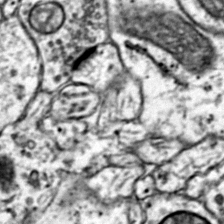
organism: Mouse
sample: Primary visual cortex